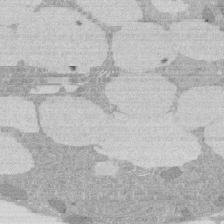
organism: Rat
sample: Salivary granule